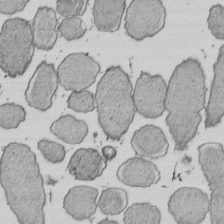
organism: E. coli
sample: Bacterial nucleoid